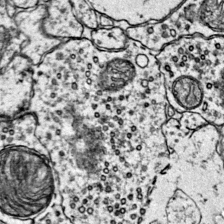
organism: Mouse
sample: Primary visual cortex